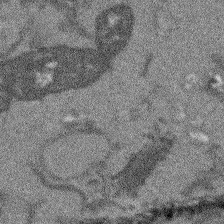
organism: Arabidopsis thaliana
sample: Root tip